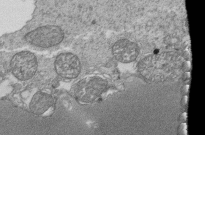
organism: Tetrahymena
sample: Cilia in tetrahymena